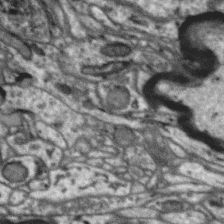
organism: Zebra finch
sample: Brain